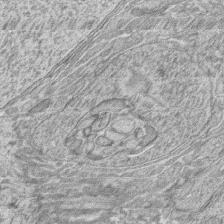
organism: Zebrafish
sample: synaptic ribbons in rod cells and cone cells